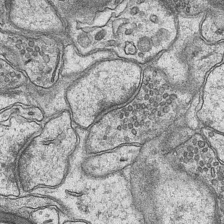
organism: Mouse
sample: CA1 Hippocampus